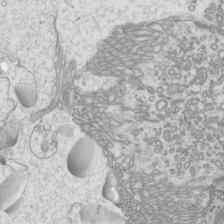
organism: Mouse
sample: Cilia; mouse epididymis